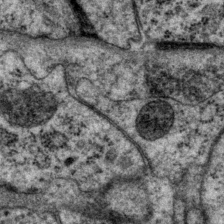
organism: P. pacificus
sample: Pharynx